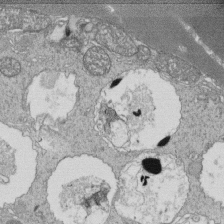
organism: Tetrahymena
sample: Cilia in tetrahymena